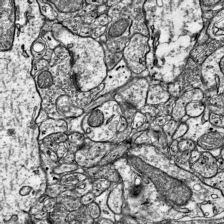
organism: Mouse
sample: Visual Cortex